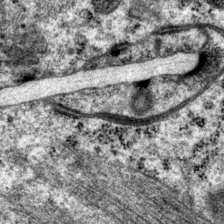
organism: P. pacificus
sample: Pharynx